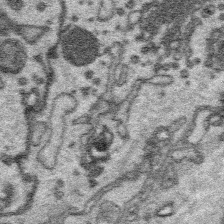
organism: Platynereis dumerilii